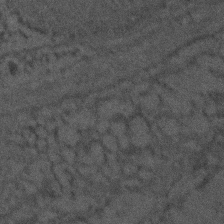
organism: Zebrafish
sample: Zebrafish embryo